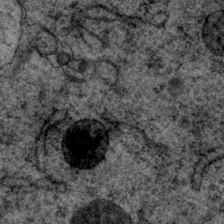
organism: P. pacificus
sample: Pharynx